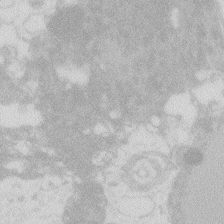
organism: Zebrafish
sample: Macrophage